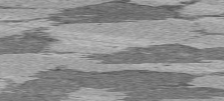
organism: C57BL Mouse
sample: Heart